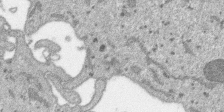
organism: Human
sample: Lung epithelial cells infected with SARS-CoV-2